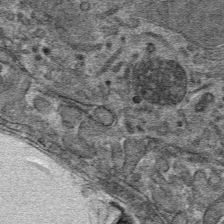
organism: Mouse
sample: Mouse hepatocytes